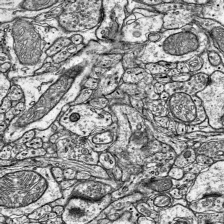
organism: Mouse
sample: Visual Cortex